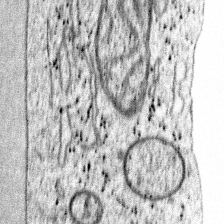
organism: Human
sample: HeLa cells